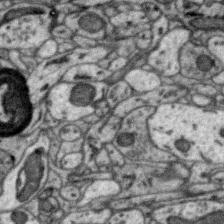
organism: Zebra finch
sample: Brain